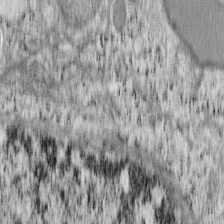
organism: Human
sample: HeLa cells